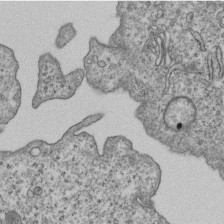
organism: Human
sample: MDA-MB-231 cells